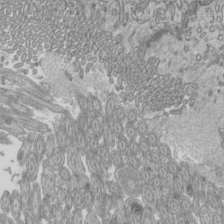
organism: Mouse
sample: Cilia; mouse epididymis